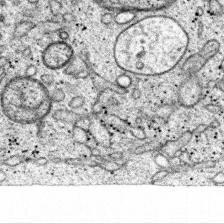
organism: Human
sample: HeLa cells